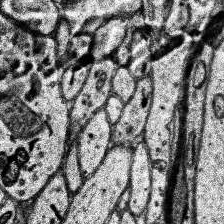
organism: Human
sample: Temporal Lobe